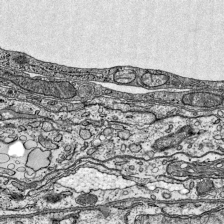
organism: Mouse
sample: Visual Cortex